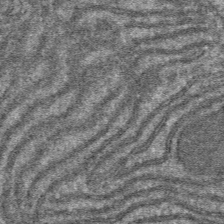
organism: Mouse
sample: Mouse hepatocytes